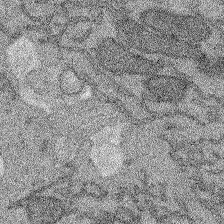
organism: Human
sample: HeLa cells